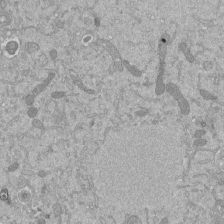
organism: Mouse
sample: ED-1 cell nuclei; centrioles